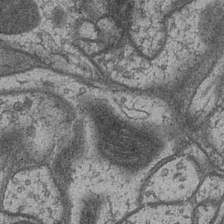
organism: Drosophila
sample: Optic medulla